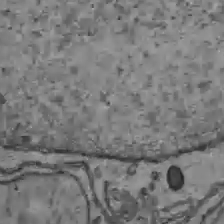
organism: C57BL Mouse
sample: Liver